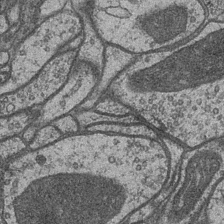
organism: Drosophila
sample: Optic medulla